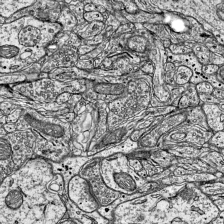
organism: Mouse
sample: Visual Cortex